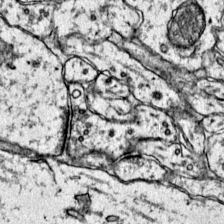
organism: Mouse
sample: Primary visual cortex